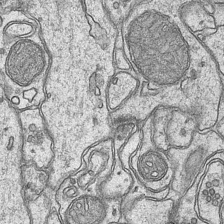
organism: Mouse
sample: CA1 Hippocampus